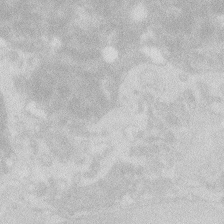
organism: Zebrafish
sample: Macrophage